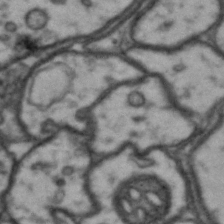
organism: Drosophila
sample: Brain